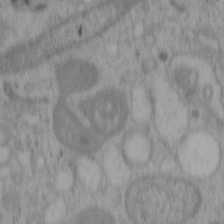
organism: Mouse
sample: OT-I killer T cells with ID8 ovarian cancer cells